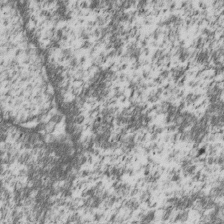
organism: Human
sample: MDA-MB-231 cells